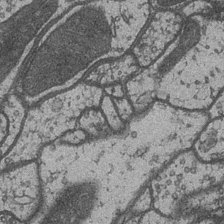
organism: Drosophila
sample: Optic medulla